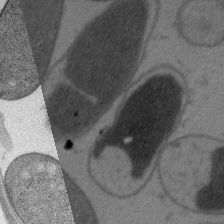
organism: C. elegans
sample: Pharynx